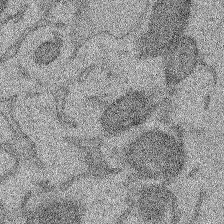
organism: Human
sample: HeLa cells